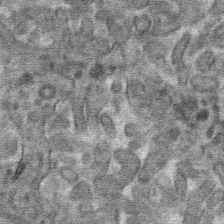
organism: Mouse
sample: Mouse hepatocytes